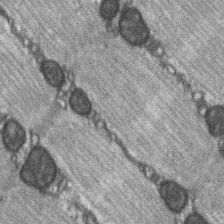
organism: C57BL Mouse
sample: Soleus